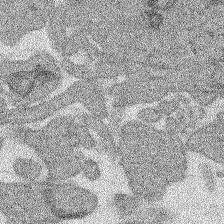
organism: Human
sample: HeLa cells